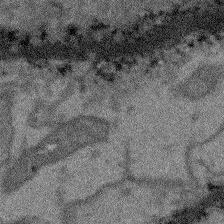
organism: Arabidopsis thaliana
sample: Root tip